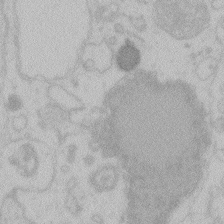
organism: Zebrafish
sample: Macrophage infected with Toxoplasma gondii